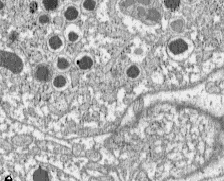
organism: C57BL Mouse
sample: Pancreatic islet